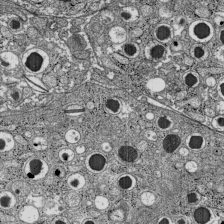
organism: C57BL Mouse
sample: Pancreatic islet